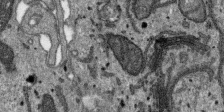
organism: Human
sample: Lung epithelial cells, uninfected (mock) control